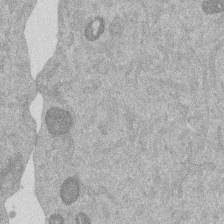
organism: Mouse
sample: Dividing mouse embryo 1 cell stage